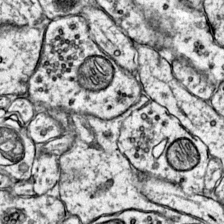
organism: Mouse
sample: Primary visual cortex